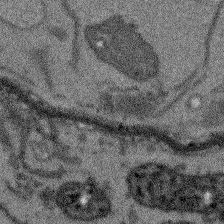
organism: Arabidopsis thaliana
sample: Root tip